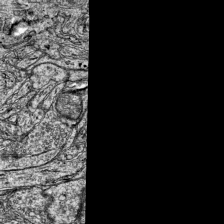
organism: Mouse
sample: Visual Cortex